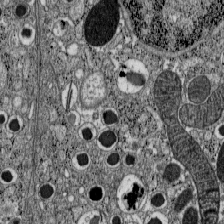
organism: C57BL Mouse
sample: Pancreatic islet